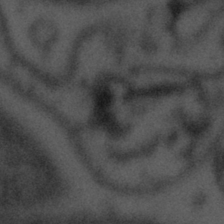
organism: Tuwongella immobilis